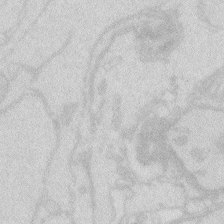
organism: Zebrafish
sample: Macrophage